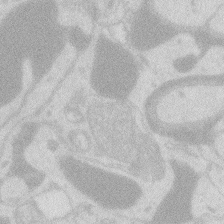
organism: Zebrafish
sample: Macrophage